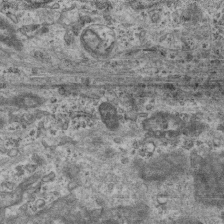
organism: Mouse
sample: Centriole in ependymal cells